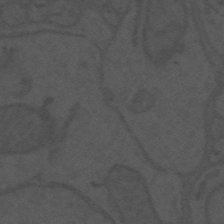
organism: Mouse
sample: Suprachiasmatic nucleus